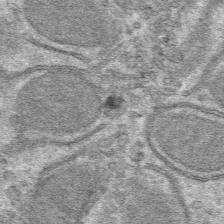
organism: Mouse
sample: Mouse hepatocytes